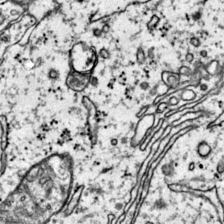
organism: Mouse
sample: Primary visual cortex